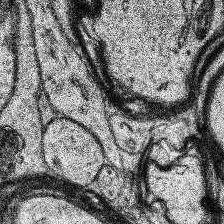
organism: Human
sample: Temporal Lobe